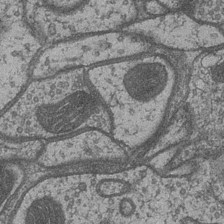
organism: Drosophila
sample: Optic medulla